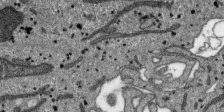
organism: Human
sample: Lung epithelial cells, uninfected (mock) control